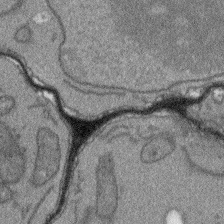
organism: Arabidopsis thaliana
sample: Root tip